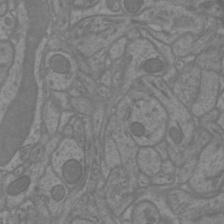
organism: Mouse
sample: Cortical neurons